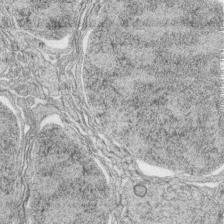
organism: Zebrafish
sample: synaptic ribbons in rod cells and cone cells